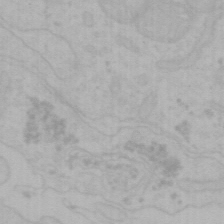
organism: Mouse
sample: Choroid plexus